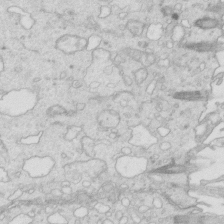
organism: Mouse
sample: Multiciliated cells